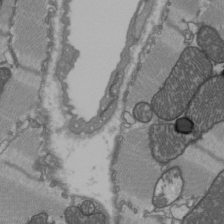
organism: C57BL Mouse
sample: Heart